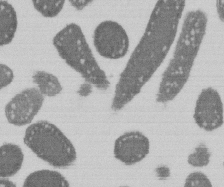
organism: E. coli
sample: Bacterial nucleoid